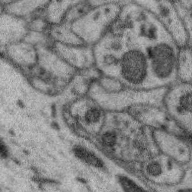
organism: Zebra finch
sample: Brain